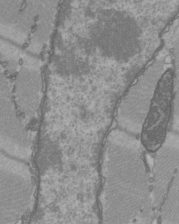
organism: C57BL Mouse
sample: Heart